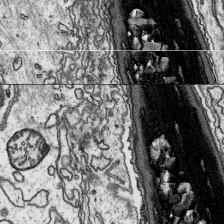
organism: Platynereis dumerilii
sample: Parapodia